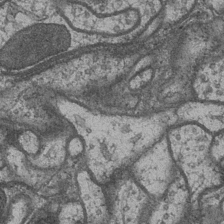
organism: Drosophila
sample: Optic medulla